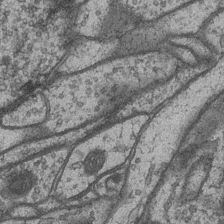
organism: Drosophila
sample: Optic medulla